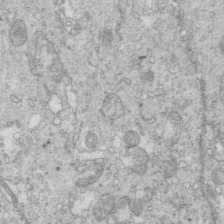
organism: Mouse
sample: Multiciliated cells